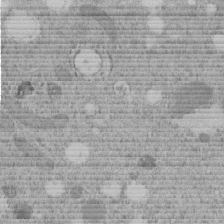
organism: C. elegans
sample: C. elegans embryo early stage